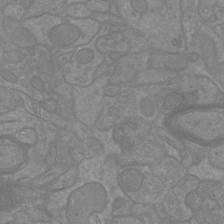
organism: Mouse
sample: Cortical neurons